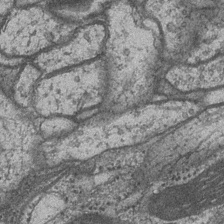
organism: Drosophila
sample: Optic medulla